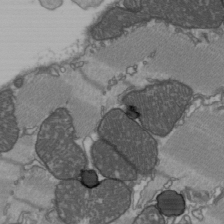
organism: C57BL Mouse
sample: Heart